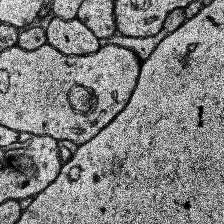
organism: Human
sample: Temporal Lobe